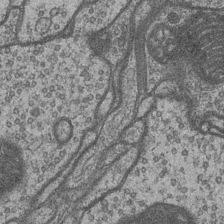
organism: Drosophila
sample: Optic medulla